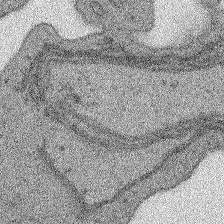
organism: Human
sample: HeLa cells